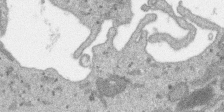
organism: Human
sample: Lung epithelial cells infected with SARS-CoV-2